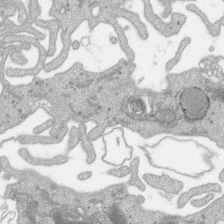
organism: Human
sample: Lung epithelial cells infected with SARS-CoV-2